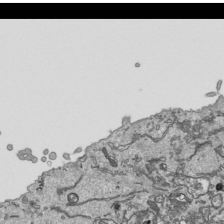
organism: Human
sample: Mitochondria in HCT116 cells